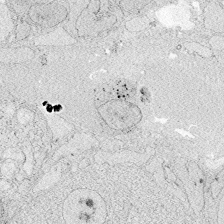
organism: Zebrafish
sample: Whole-Brain